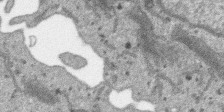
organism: Human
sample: Lung epithelial cells infected with SARS-CoV-2